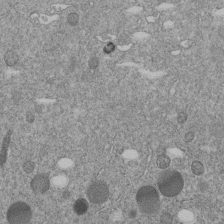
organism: C. elegans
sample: C. elegans embryo early stage